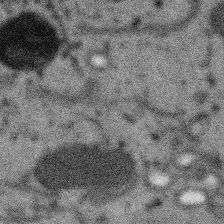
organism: Human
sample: Lung epithelial cells infected with SARS-CoV-2